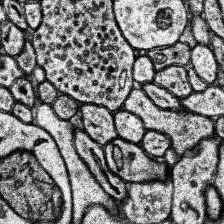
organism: Human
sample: Temporal Lobe